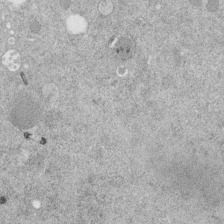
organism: C. elegans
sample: C. elegans embryo early stage